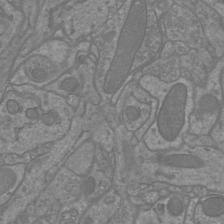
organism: Mouse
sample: Cortical neurons